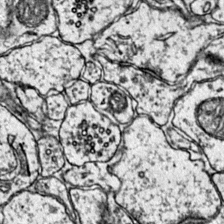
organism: Mouse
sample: Primary visual cortex